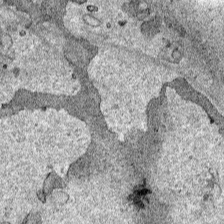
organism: Human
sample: Mitochondria in HCT116 cells